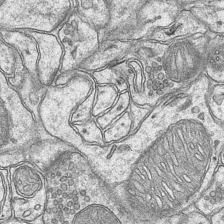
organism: Mouse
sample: CA1 Hippocampus